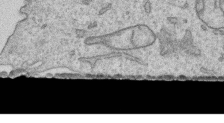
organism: Human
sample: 1205lu cells